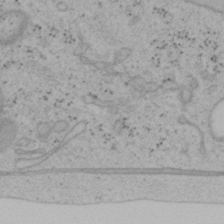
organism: Human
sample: HeLa cells